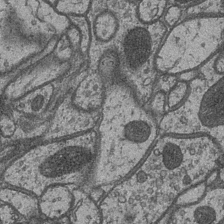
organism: Drosophila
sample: Optic medulla